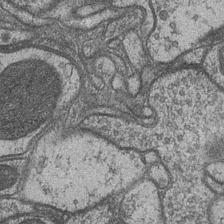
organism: Drosophila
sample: Optic medulla